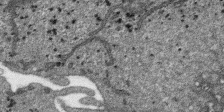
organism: Human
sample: Lung epithelial cells infected with SARS-CoV-2